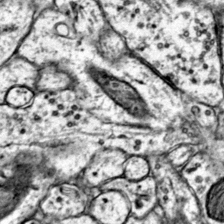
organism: Mouse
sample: Primary visual cortex